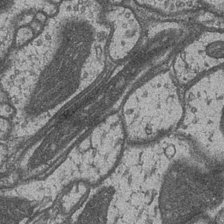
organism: Drosophila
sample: Optic medulla